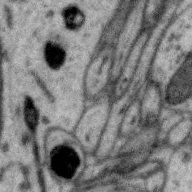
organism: Zebra finch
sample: Brain